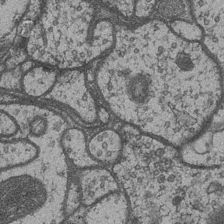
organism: Drosophila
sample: Optic medulla